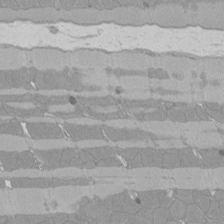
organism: Rat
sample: Left ventricle